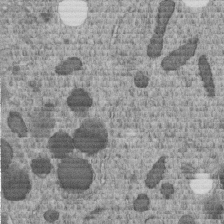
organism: C. elegans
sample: C. elegans embryo early stage